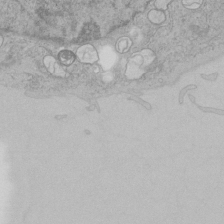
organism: Human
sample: Mitochondria in HCT116 cells